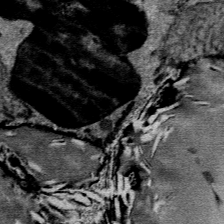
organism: Mouse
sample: Mouse Salivary gland